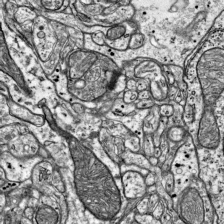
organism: Mouse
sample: Visual Cortex